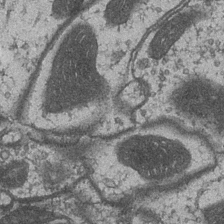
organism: Drosophila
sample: Optic medulla